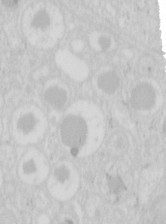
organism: Mouse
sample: Pancreas